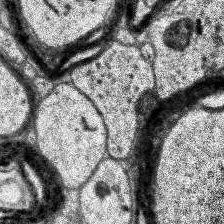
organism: Human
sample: Temporal Lobe